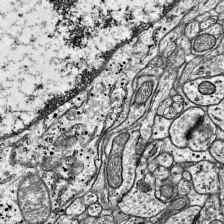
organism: Mouse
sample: Visual Cortex